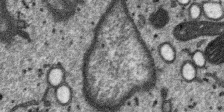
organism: Human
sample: Lung epithelial cells infected with SARS-CoV-2